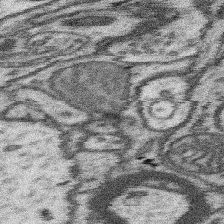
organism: Mouse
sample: Somatosensory cortex neuropil